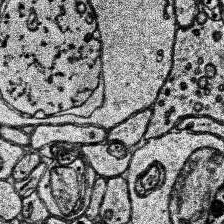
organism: Human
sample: Temporal Lobe